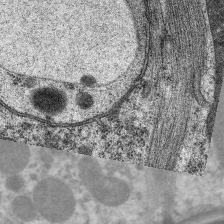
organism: C. elegans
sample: Pharynx